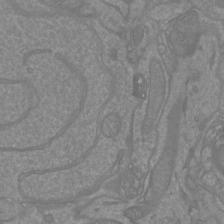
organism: Mouse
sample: Cortical neurons